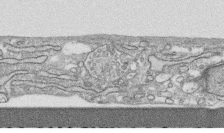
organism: Human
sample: CRL-1474